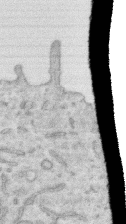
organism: Human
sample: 1205lu cells